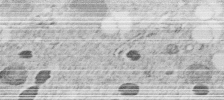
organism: C. elegans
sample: C. elegans embryo early stage